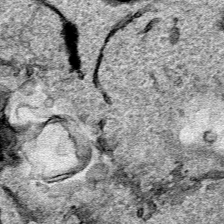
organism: Human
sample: Mitochondria in HCT116 cells